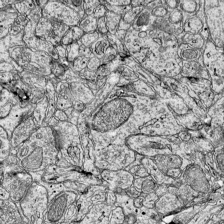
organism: Mouse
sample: Visual Cortex